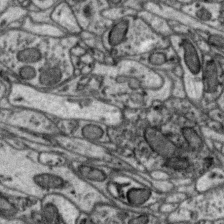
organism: Zebra finch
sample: Brain